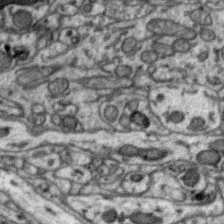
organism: Zebra finch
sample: Brain